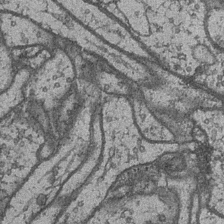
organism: Drosophila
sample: Optic medulla